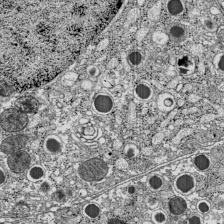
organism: C57BL Mouse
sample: Pancreatic islet